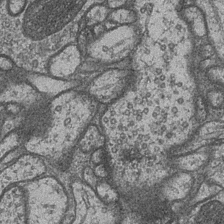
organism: Drosophila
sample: Optic medulla